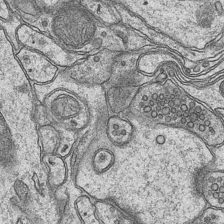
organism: Mouse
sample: CA1 Hippocampus